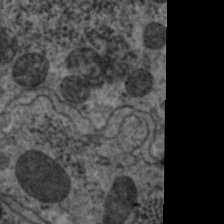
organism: C. elegans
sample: Pharynx